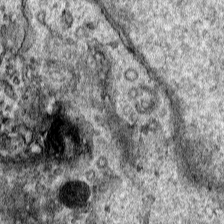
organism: Human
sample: Mitochondria in HCT116 cells